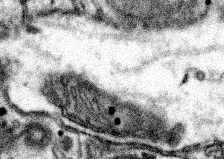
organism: Mouse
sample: Somatosensory cortex neuropil